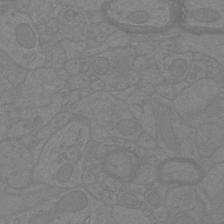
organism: Mouse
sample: Cortical neurons